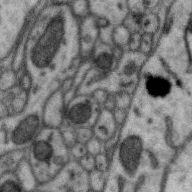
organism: Zebra finch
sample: Brain